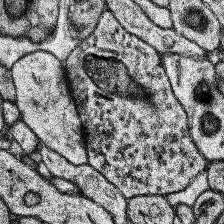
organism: Human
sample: Temporal Lobe